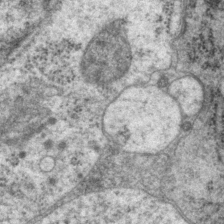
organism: P. pacificus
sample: Pharynx